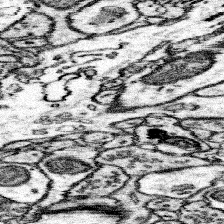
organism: Mouse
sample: Somatosensory cortex neuropil